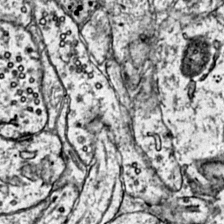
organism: Mouse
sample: Primary visual cortex